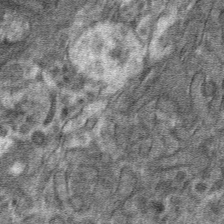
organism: Mouse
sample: Mouse hepatocytes